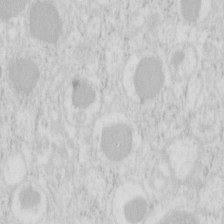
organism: Mouse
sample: Pancreas